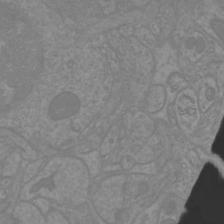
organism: Mouse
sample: Cortical neurons